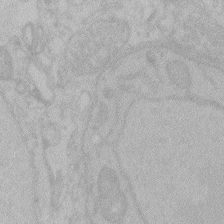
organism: Zebrafish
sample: Macrophage infected with Toxoplasma gondii